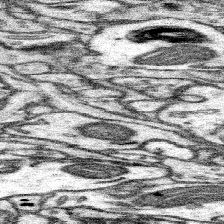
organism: Mouse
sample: Somatosensory cortex neuropil